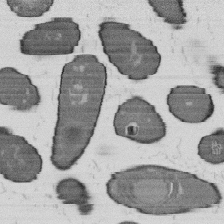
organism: B. subtilis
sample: Bacterial spore